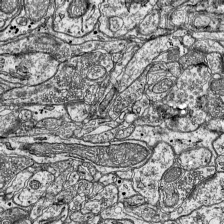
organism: Mouse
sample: Visual Cortex